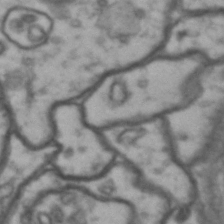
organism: Drosophila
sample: Brain